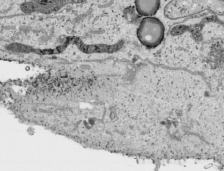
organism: Human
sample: Mitochondria in HCT116 cells